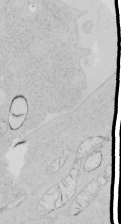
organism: Human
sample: Mitochondria in HCT116 cells